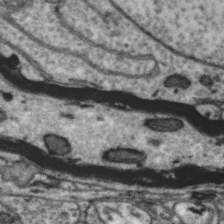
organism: Zebra finch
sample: Brain